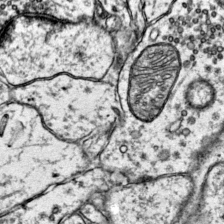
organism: Mouse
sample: Primary visual cortex